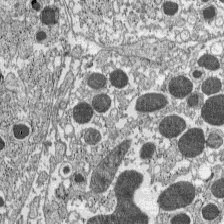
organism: C57BL Mouse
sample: Pancreatic islet